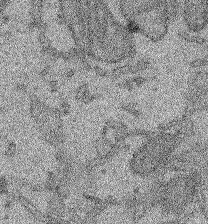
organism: Human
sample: HeLa cells